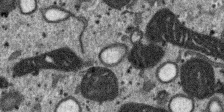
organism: Human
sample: Lung epithelial cells infected with SARS-CoV-2